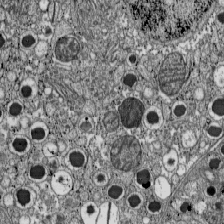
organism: C57BL Mouse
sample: Pancreatic islet